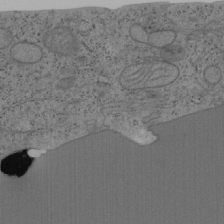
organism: Human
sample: HeLa cells